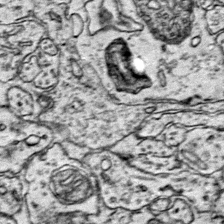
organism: Mouse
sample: Primary visual cortex